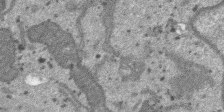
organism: Human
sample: Lung epithelial cells infected with SARS-CoV-2